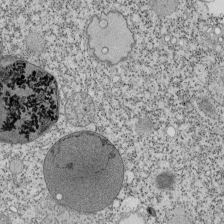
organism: Tetrahymena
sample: Cilia in tetrahymena